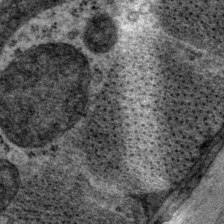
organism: P. pacificus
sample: Pharynx